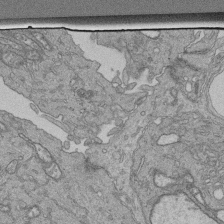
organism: Human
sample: Retinal organoid Rod and Cone cells